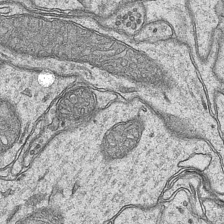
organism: Mouse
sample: CA1 Hippocampus